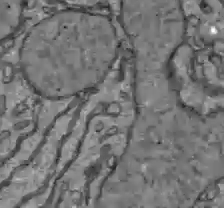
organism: C57BL Mouse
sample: Liver